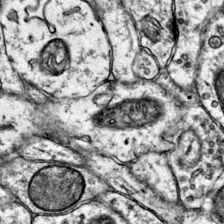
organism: Mouse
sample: Primary visual cortex